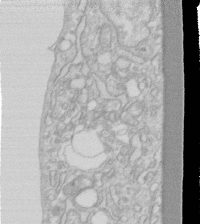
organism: Human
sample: Fibroblast cells